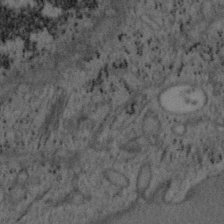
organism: Human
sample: HeLa cells